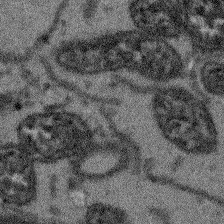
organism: Arabidopsis thaliana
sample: Root tip